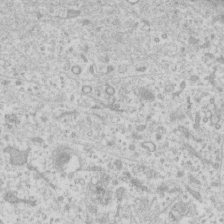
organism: Human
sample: Fibroblast cells